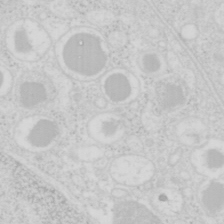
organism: Mouse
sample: Pancreas